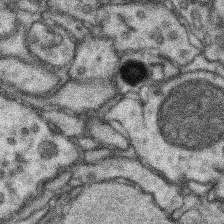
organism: Mouse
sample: Somatosensory cortex neuropil